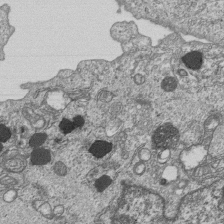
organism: Human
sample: MDA-MB-231 cells